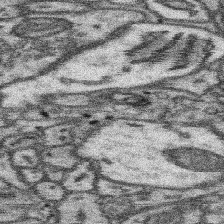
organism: Mouse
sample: Somatosensory cortex neuropil